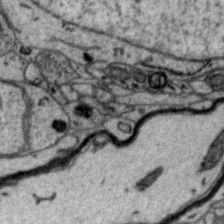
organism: Zebra finch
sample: Brain